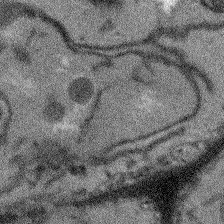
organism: Arabidopsis thaliana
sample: Root tip